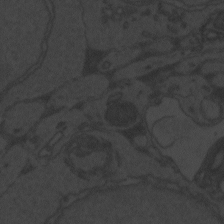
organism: Zebrafish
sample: Macrophage infected with Toxoplasma gondii